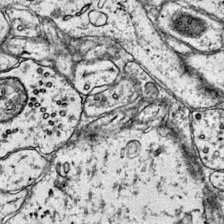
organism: Mouse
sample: Primary visual cortex